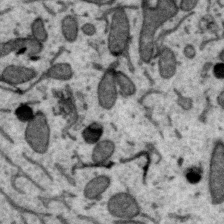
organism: Zebra finch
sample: Brain